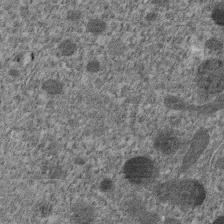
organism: C. elegans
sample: C. elegans embryo early stage